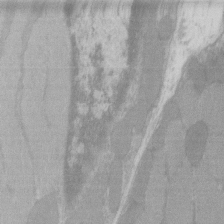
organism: C57BL Mouse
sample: Tibialis anterior muscle cell